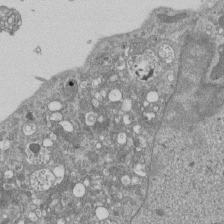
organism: Mouse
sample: ED-1 cell nuclei; centrioles